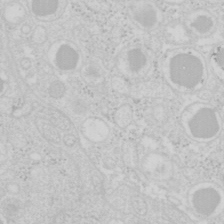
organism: Mouse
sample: Pancreas